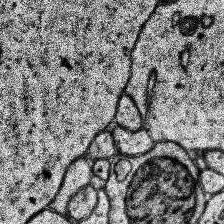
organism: Human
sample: Temporal Lobe